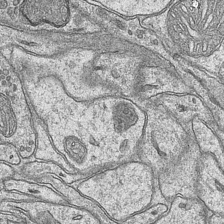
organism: Mouse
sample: CA1 Hippocampus